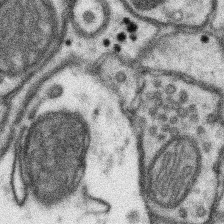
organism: Mouse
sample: Somatosensory cortex neuropil